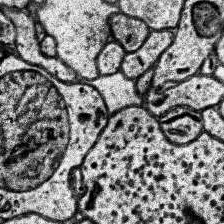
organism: Human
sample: Temporal Lobe